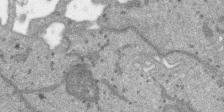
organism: Human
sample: Lung epithelial cells infected with SARS-CoV-2